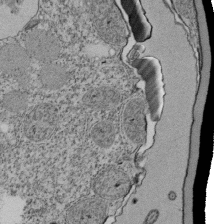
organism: Tetrahymena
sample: Cilia in tetrahymena